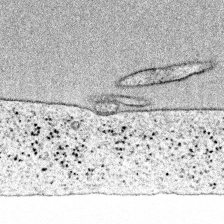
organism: Human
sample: HeLa cells